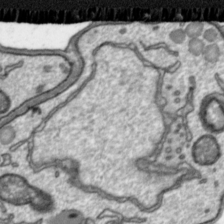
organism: Toxoplasma gondii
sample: Parasites in a vacuole inside a host cell